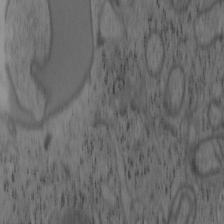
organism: Human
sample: HeLa cells